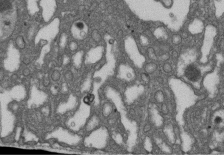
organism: Drosophila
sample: Nephrocyte